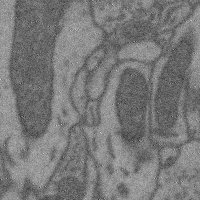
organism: Mouse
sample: Cerebral cortex